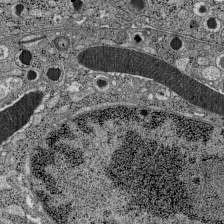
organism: C57BL Mouse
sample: Pancreatic islet